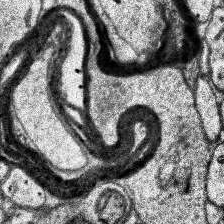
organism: Human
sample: Temporal Lobe